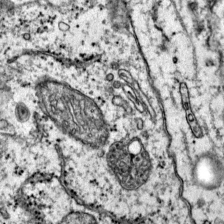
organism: Mouse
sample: Primary visual cortex